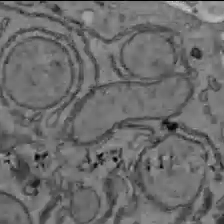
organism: C57BL Mouse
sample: Liver